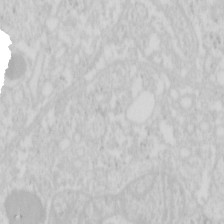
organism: Mouse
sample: Pancreas